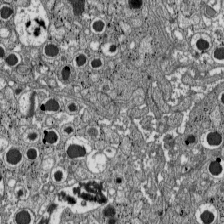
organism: C57BL Mouse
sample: Pancreatic islet